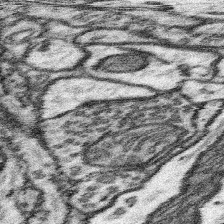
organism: Mouse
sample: Somatosensory cortex neuropil